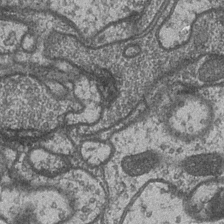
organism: Drosophila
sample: Optic medulla